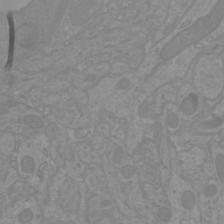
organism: Mouse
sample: Cortical neurons